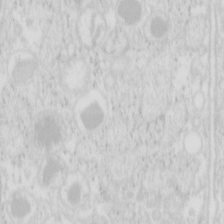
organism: Mouse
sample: Pancreas